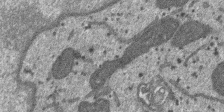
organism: Human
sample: Lung epithelial cells infected with SARS-CoV-2